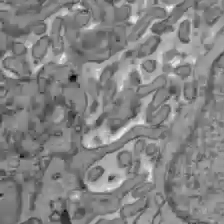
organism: C57BL Mouse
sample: Liver